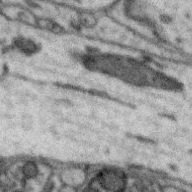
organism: Zebra finch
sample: Brain